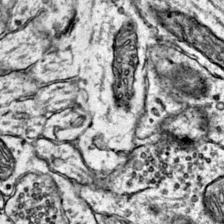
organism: Mouse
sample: Primary visual cortex